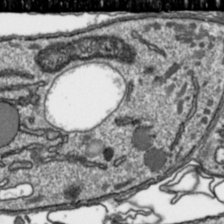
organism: Toxoplasma gondii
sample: Parasites in a vacuole inside a host cell